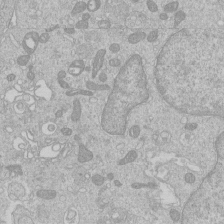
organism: Human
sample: Macrophage cells